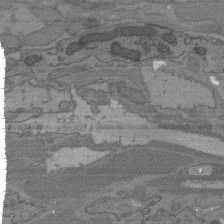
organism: C. elegans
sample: AFD neurons C. elegans